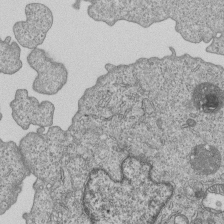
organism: Human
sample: MDA-MB-231 cells